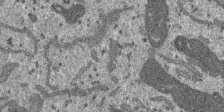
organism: Human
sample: Lung epithelial cells infected with SARS-CoV-2